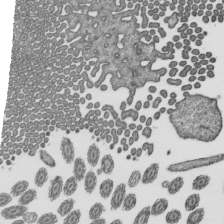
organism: Mouse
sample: Mouse epididymis efferent ductule cilia